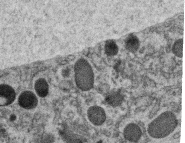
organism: C. elegans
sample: C. elegans oocyte; sperm cells